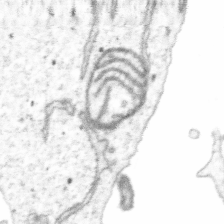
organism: Human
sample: HeLa cells